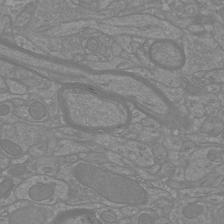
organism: Mouse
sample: Cortical neurons